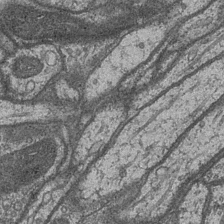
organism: Drosophila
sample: Optic medulla